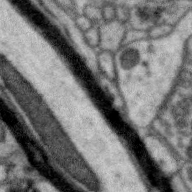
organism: Zebra finch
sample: Brain